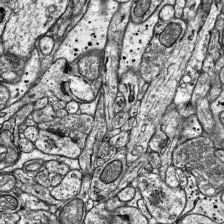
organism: Mouse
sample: Visual Cortex